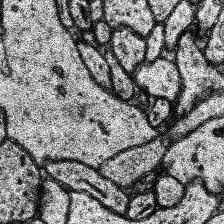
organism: Human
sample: Temporal Lobe